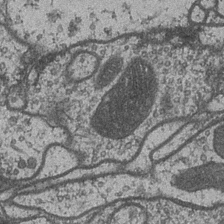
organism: Drosophila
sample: Optic medulla